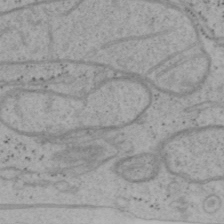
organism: Human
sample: HeLa cells